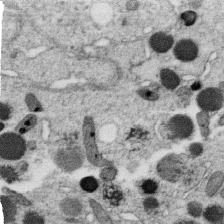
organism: C. elegans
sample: C. elegans oocyte; sperm cells